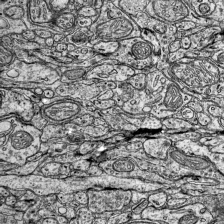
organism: Mouse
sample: Visual Cortex